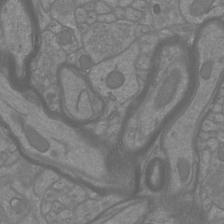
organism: Mouse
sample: Cortical neurons